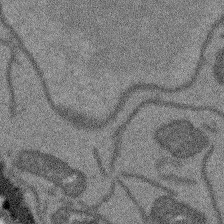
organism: Arabidopsis thaliana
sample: Root tip